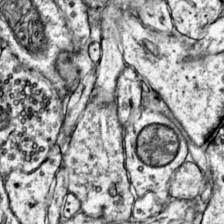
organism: Mouse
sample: Primary visual cortex